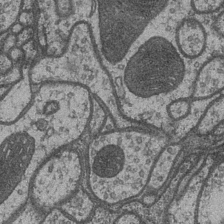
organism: Drosophila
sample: Optic medulla